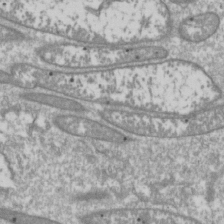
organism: Drosophila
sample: Cell division; meiosis; drosophila spermatocytes